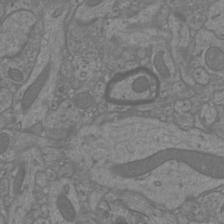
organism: Mouse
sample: Cortical neurons